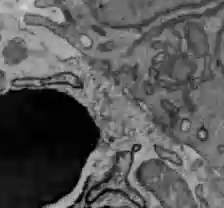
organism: C57BL Mouse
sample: Liver